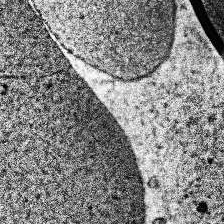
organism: Human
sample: Temporal Lobe